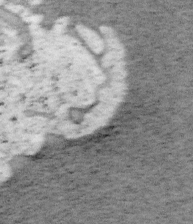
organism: Mouse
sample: OT-I killer T cells with ID8 ovarian cancer cells